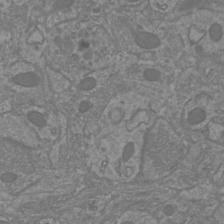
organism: Mouse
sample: Cortical neurons